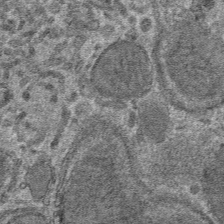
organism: Mouse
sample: Mouse hepatocytes